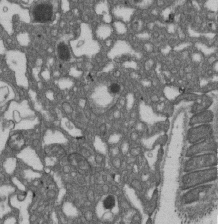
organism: Drosophila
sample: Nephrocyte